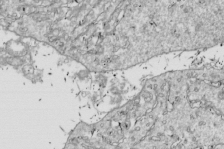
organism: Drosophila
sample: Cell division; meiosis; drosophila spermatocytes